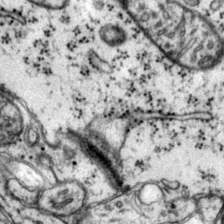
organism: Mouse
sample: Primary visual cortex